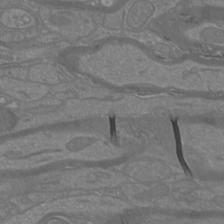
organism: Mouse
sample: Cortical neurons